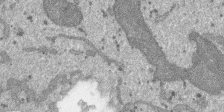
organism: Human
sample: Lung epithelial cells infected with SARS-CoV-2